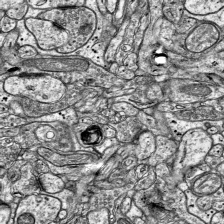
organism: Mouse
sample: Visual Cortex